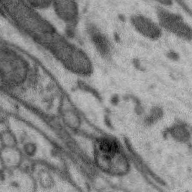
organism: Zebra finch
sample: Brain